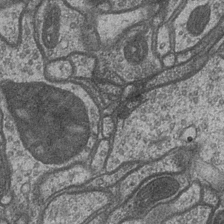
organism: Drosophila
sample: Optic medulla